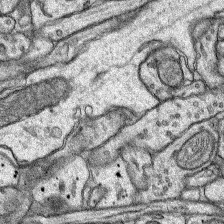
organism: Rat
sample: Hippocampus